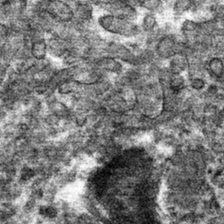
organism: Mouse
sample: Mouse hepatocytes